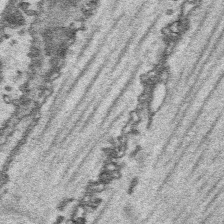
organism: Platynereis dumerilii